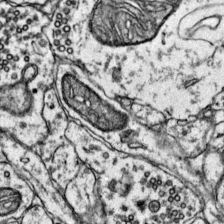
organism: Mouse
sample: Primary visual cortex